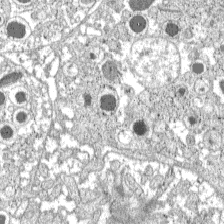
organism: C57BL Mouse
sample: Pancreatic islet